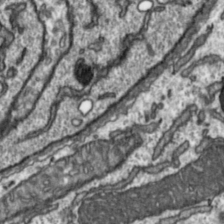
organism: Toxoplasma gondii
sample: Parasites in a vacuole inside a host cell